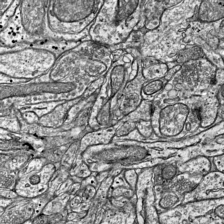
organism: Mouse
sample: Visual Cortex